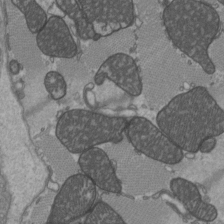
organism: C57BL Mouse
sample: Heart